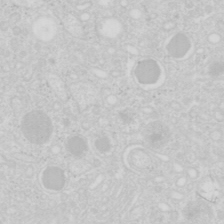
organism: Mouse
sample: Pancreas